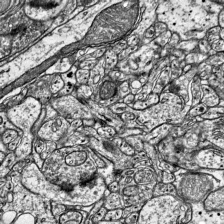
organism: Mouse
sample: Visual Cortex